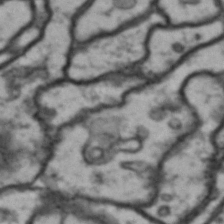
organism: Drosophila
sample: Brain